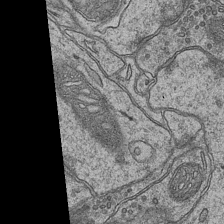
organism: Mouse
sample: CA1 Hippocampus